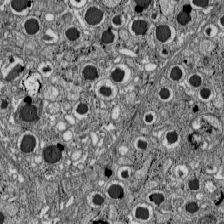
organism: C57BL Mouse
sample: Pancreatic islet